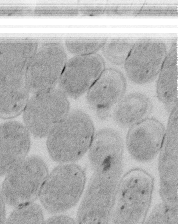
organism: E. coli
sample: Bacterial nucleoid